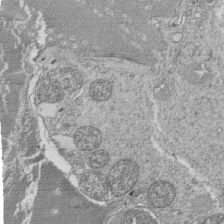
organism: Tetrahymena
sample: Cilia in tetrahymena